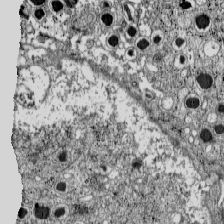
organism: C57BL Mouse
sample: Pancreatic islet